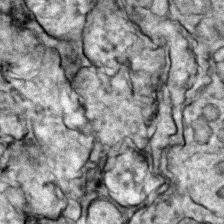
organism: Zebrafish